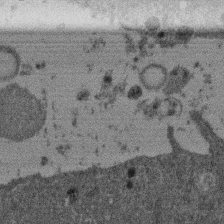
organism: Mouse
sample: Dividing mouse embryo 1 cell stage